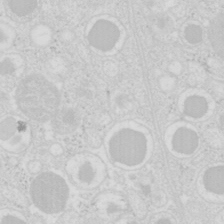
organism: Mouse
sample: Pancreas